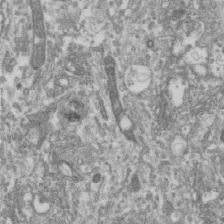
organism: Human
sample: Centriole in RPE cells